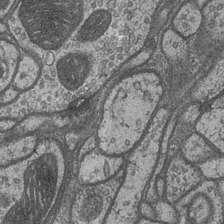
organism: Drosophila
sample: Optic medulla